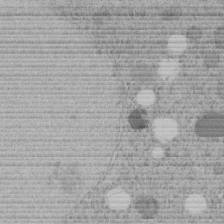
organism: C. elegans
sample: C. elegans embryo early stage